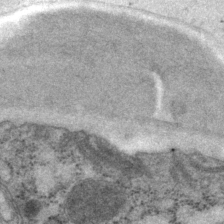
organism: P. pacificus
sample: Pharynx